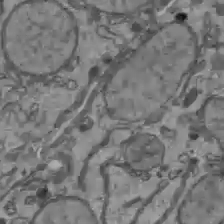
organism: C57BL Mouse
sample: Liver